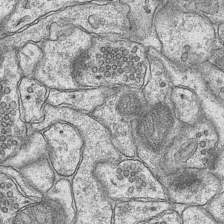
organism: Mouse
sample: CA1 Hippocampus